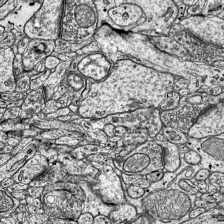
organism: Mouse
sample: Visual Cortex